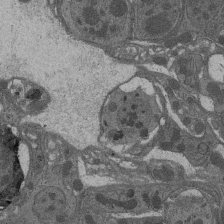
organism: Drosophila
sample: Antenna